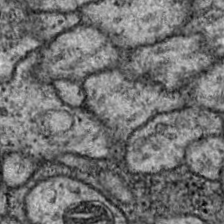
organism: Drosophila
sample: Ventral Nerve Cord